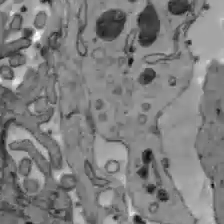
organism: C57BL Mouse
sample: Liver